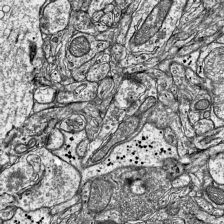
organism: Mouse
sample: Visual Cortex